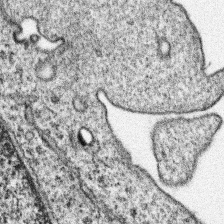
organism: Human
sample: HeLa cells